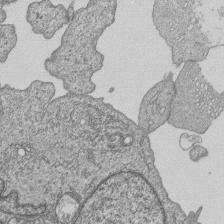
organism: Human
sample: MDA-MB-231 cells